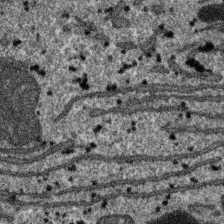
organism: Human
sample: Lung epithelial cells infected with SARS-CoV-2